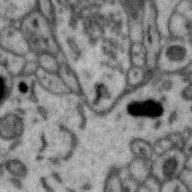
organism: Zebra finch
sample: Brain